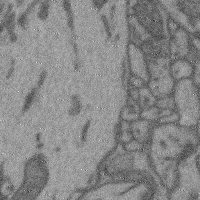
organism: Mouse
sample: Cerebral cortex